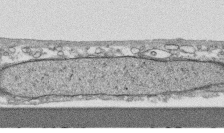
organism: Human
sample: CRL-1474